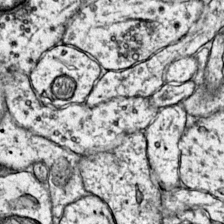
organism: Mouse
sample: Primary visual cortex